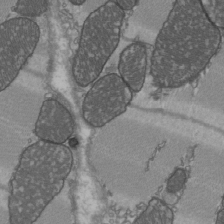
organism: C57BL Mouse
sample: Heart